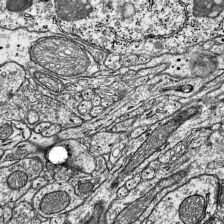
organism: Mouse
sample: Visual Cortex